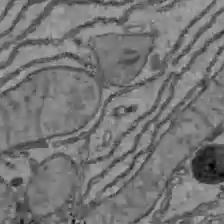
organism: C57BL Mouse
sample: Liver